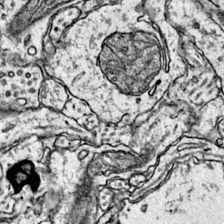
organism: Mouse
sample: Primary visual cortex